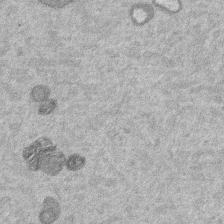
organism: Mouse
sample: Dividing mouse embryo 1 cell stage